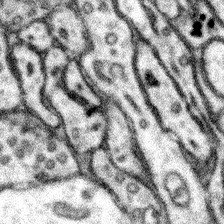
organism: Mouse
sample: Somatosensory cortex neuropil